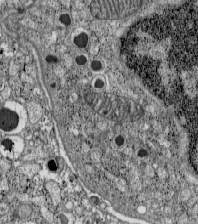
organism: C57BL Mouse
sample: Pancreatic islet